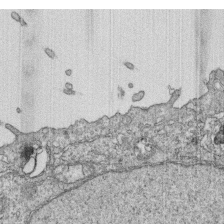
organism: Human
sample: HeLa cell HIV synapse